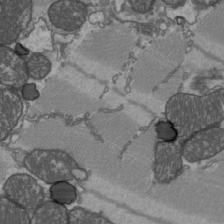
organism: C57BL Mouse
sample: Heart